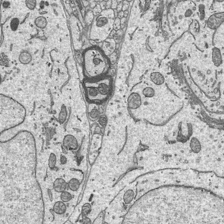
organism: Mouse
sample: Suprachiasmatic nucleus